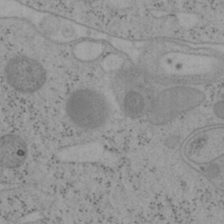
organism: Mouse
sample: OT-I killer T cells with ID8 ovarian cancer cells